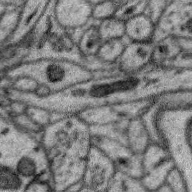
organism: Zebra finch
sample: Brain